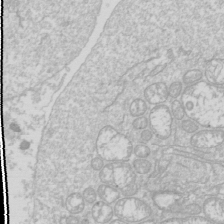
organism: Drosophila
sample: Cell division; meiosis; drosophila spermatocytes